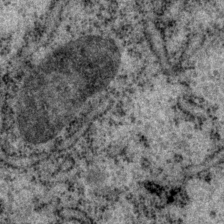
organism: P. pacificus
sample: Pharynx